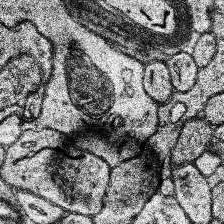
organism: Human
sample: Temporal Lobe